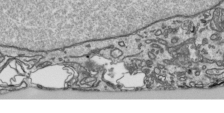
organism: Human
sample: Mitochondria in HCT116 cells